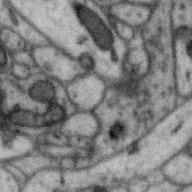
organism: Zebra finch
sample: Brain